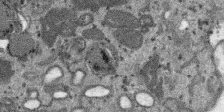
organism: Human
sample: Lung epithelial cells infected with SARS-CoV-2